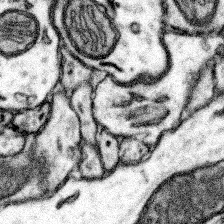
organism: Mouse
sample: Somatosensory cortex neuropil